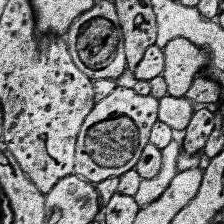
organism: Human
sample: Temporal Lobe